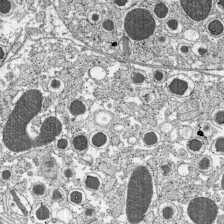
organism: C57BL Mouse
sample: Pancreatic islet